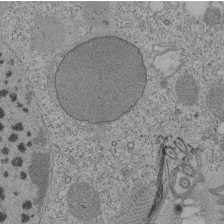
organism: Tetrahymena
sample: Cilia in tetrahymena